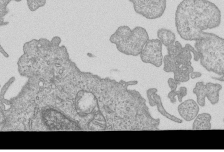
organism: Human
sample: MDA-MB-231 cells